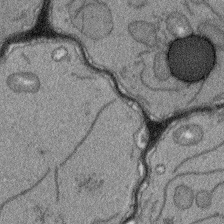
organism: Arabidopsis thaliana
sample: Root tip